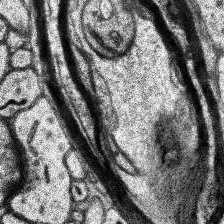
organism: Human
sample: Temporal Lobe